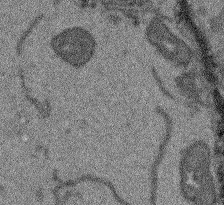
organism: Arabidopsis thaliana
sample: Root tip